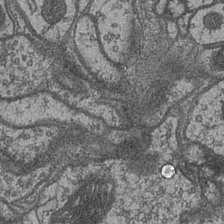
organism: Drosophila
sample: Optic medulla